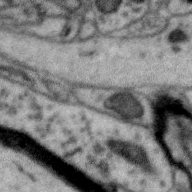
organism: Zebra finch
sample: Brain